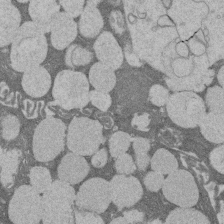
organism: Rat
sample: Salivary granule